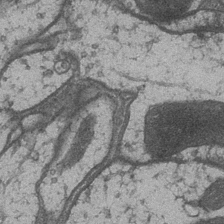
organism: Drosophila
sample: Optic medulla